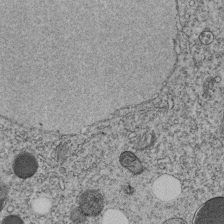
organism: C. elegans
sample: C. elegans embryo early stage